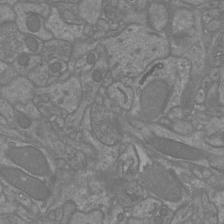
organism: Mouse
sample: Cortical neurons